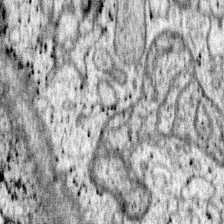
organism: Human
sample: HeLa cells